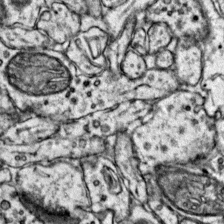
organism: Mouse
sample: Primary visual cortex